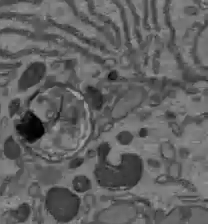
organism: C57BL Mouse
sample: Liver